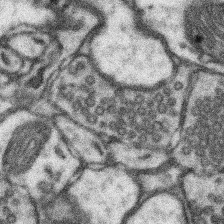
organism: Mouse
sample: Somatosensory cortex neuropil